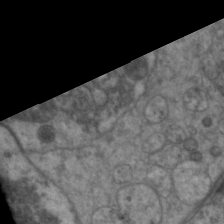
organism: C. elegans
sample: Pharynx